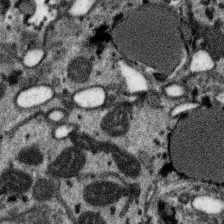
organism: Human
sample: Lung epithelial cells infected with SARS-CoV-2